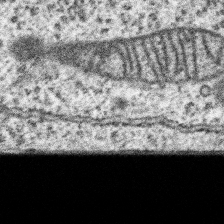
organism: Human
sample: HeLa cells